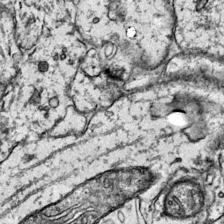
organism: Mouse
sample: Primary visual cortex